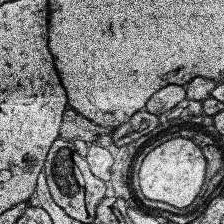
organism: Human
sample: Temporal Lobe